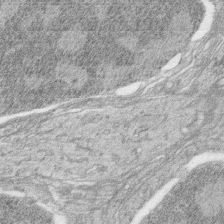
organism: Zebrafish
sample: synaptic ribbons in rod cells and cone cells